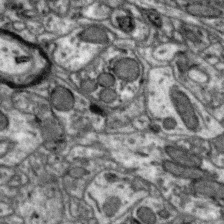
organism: Zebra finch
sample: Brain